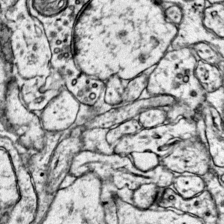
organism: Mouse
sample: Primary visual cortex